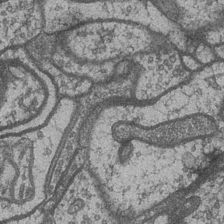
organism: Drosophila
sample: Optic medulla